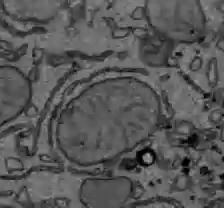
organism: C57BL Mouse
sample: Liver